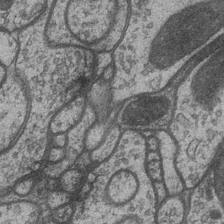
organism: Drosophila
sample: Optic medulla